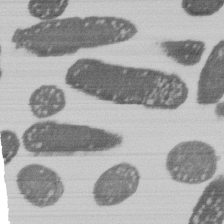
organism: E. coli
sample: Bacterial nucleoid